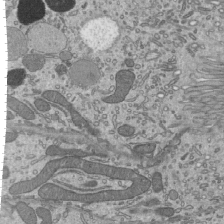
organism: Mouse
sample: Mouse epididymis efferent ductule cilia